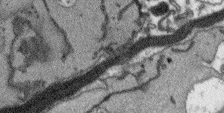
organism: Arabidopsis thaliana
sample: Root tip